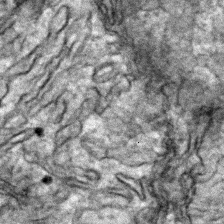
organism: Zebrafish